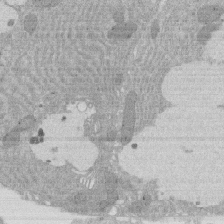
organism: Rat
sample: Salivary granule